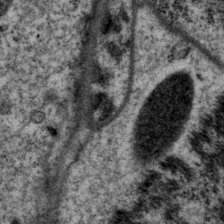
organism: P. pacificus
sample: Pharynx